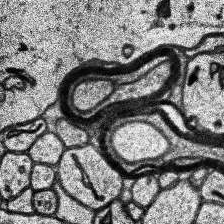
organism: Human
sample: Temporal Lobe